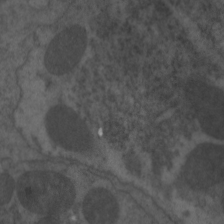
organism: C. elegans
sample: Pharynx